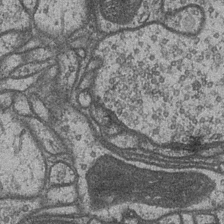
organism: Drosophila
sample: Optic medulla